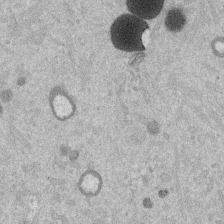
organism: Mouse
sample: Dividing mouse embryo 1 cell stage